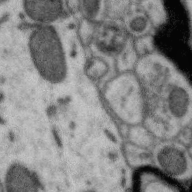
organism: Zebra finch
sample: Brain